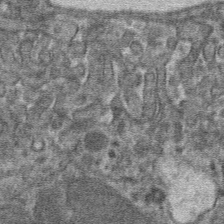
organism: Mouse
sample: Mouse hepatocytes